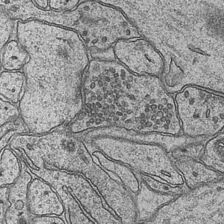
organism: Mouse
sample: CA1 Hippocampus